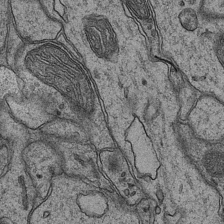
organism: Mouse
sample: CA1 Hippocampus